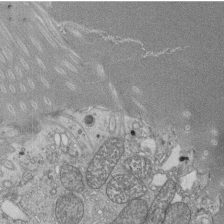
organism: Tetrahymena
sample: Cilia in tetrahymena